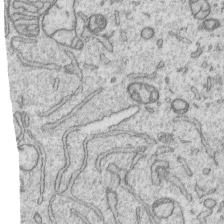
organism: Human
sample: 1205lu cells